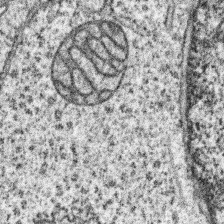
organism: Human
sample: HeLa cells